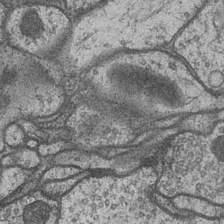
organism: Drosophila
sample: Optic medulla